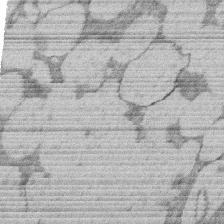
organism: Rat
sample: Salivary granule